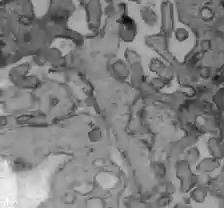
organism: C57BL Mouse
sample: Liver